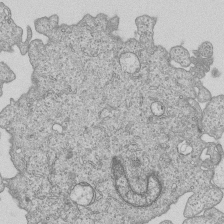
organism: Human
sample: MDA-MB-231 cells